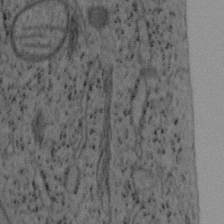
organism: Human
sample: HeLa cells